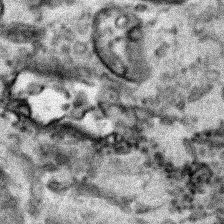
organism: Human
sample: Mitochondria in HCT116 cells